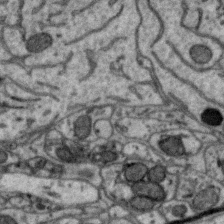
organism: Zebra finch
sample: Brain